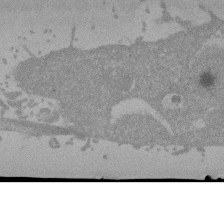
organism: Mouse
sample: ED-1 cell nuclei; centrioles